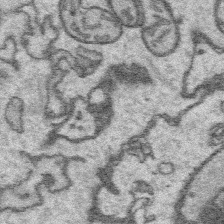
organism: Platynereis dumerilii